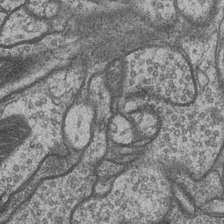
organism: Drosophila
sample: Optic medulla